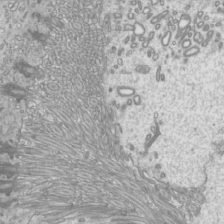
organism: Mouse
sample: Cilia; mouse epididymis